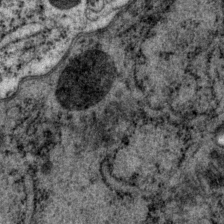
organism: P. pacificus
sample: Pharynx